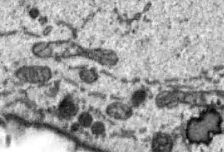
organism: Human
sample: HeLa cells